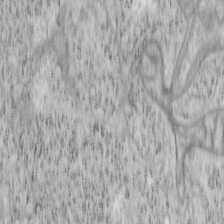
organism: Human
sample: HeLa cells